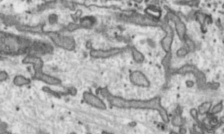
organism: Toxoplasma gondii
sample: Parasites in a vacuole inside a host cell